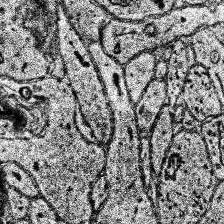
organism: Human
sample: Temporal Lobe